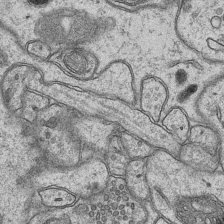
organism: Mouse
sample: CA1 Hippocampus